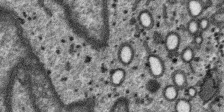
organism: Human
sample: Lung epithelial cells infected with SARS-CoV-2